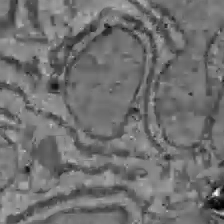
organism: C57BL Mouse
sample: Liver